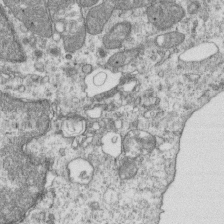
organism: Mouse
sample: Activated OT-1 CD8+ T cells